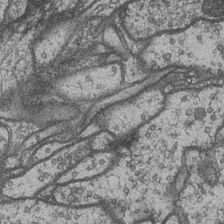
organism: Drosophila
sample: Optic medulla